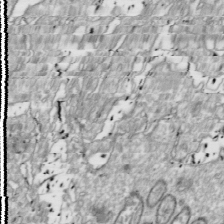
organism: Drosophila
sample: Cell division; meiosis; drosophila spermatocytes